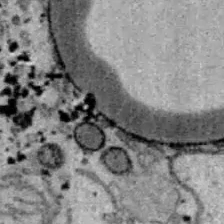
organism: Mouse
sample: Liver from an obese (ob/ob) mouse